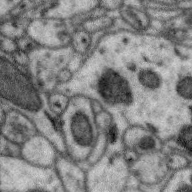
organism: Zebra finch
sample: Brain